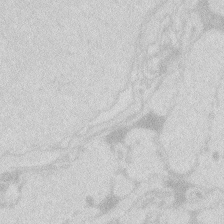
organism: Zebrafish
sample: Macrophage